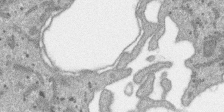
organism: Human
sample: Lung epithelial cells infected with SARS-CoV-2